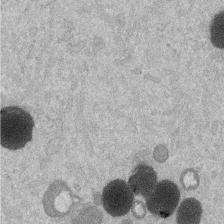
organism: Mouse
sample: Dividing mouse embryo 1 cell stage